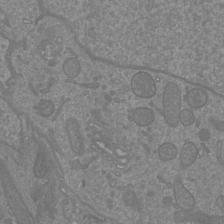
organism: Mouse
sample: Cortical neurons